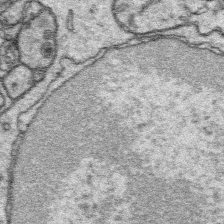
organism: Platynereis dumerilii